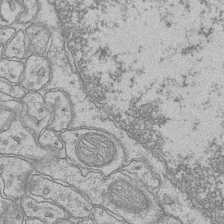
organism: Mouse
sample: CA1 Hippocampus